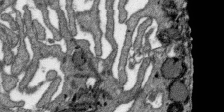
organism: Human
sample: Lung epithelial cells, uninfected (mock) control